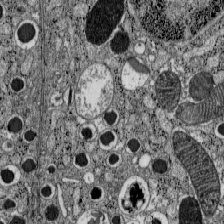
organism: C57BL Mouse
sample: Pancreatic islet